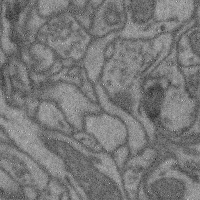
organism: Mouse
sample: Cerebral cortex